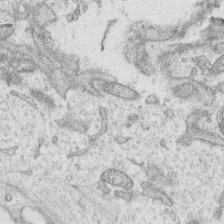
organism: Human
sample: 1205lu cells